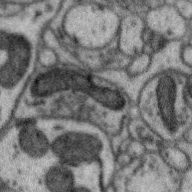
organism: Zebra finch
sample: Brain